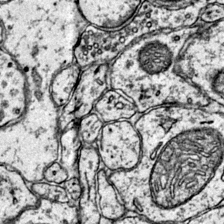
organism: Mouse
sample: Primary visual cortex